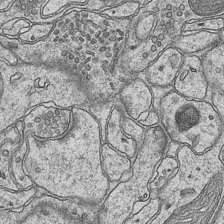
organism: Mouse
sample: CA1 Hippocampus